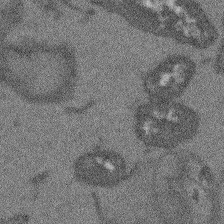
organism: Arabidopsis thaliana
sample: Root tip